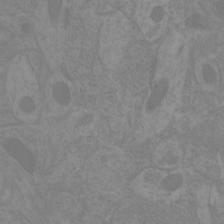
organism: Mouse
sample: Cortical neurons